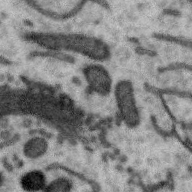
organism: Zebra finch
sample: Brain